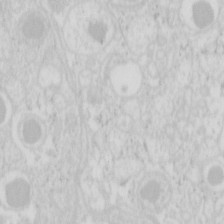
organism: Mouse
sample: Pancreas